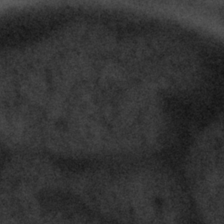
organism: Tuwongella immobilis